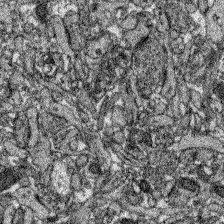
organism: Zebrafish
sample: Larval olfactory bulb